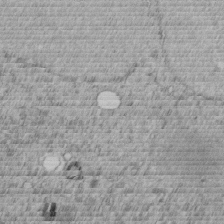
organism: C. elegans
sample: C. elegans embryo early stage